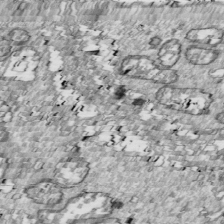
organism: Drosophila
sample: Cell division; meiosis; drosophila spermatocytes